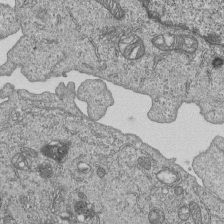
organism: Human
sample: MDA-MB-231 cells